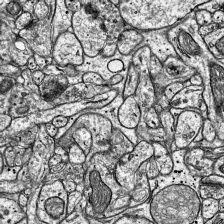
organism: Mouse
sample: Visual Cortex